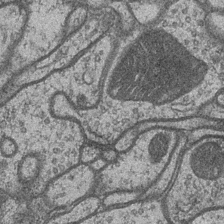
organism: Drosophila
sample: Optic medulla